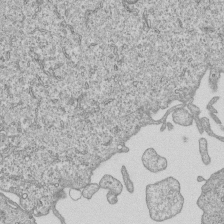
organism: Human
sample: MDA-MB-231 cells